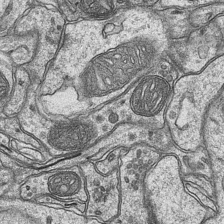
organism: Mouse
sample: CA1 Hippocampus